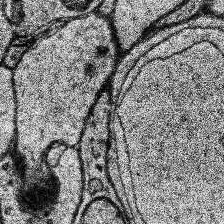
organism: Human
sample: Temporal Lobe